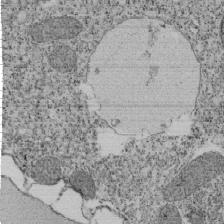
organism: Tetrahymena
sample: Cilia in tetrahymena